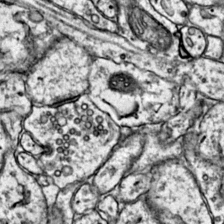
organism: Mouse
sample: Primary visual cortex